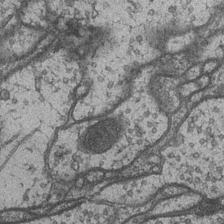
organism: Drosophila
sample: Optic medulla